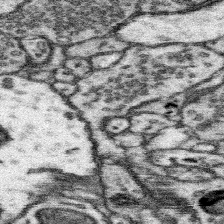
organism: Mouse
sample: Somatosensory cortex neuropil